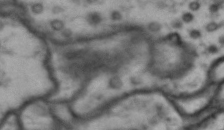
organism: Drosophila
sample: Brain